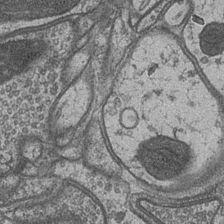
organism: Drosophila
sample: Optic medulla